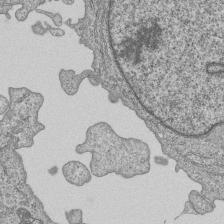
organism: Human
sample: MDA-MB-231 cells